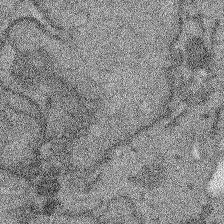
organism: Human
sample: HeLa cells